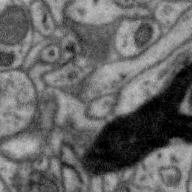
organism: Zebra finch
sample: Brain